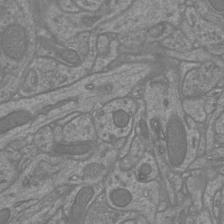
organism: Mouse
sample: Cortical neurons